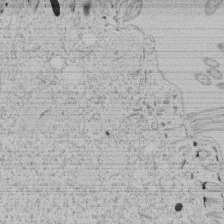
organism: Tetrahymena